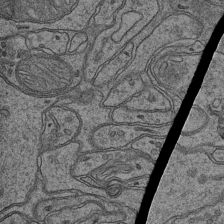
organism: Mouse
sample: CA1 Hippocampus